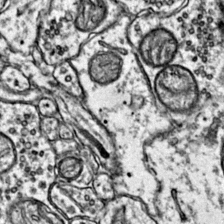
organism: Mouse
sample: Primary visual cortex